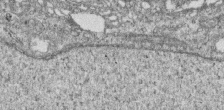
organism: Human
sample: HeLa cell HIV synapse